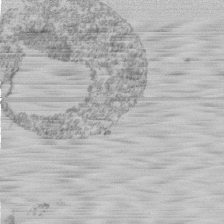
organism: Mouse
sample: Activated Pmel transgenic CD8+ T Cells